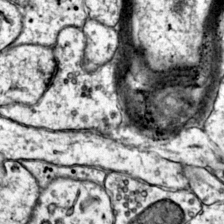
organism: Mouse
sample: Primary visual cortex